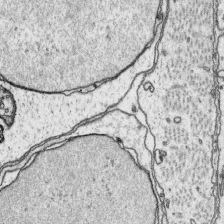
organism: Platynereis dumerilii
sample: Parapodia